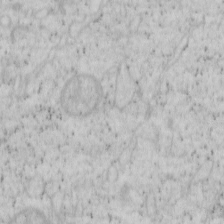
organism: Human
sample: HeLa cells